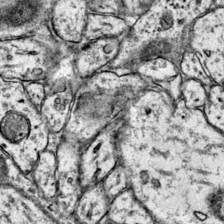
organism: Mouse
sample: Primary visual cortex